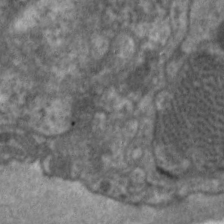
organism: C. elegans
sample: Pharynx